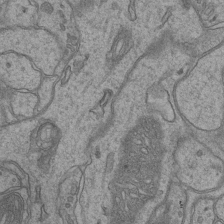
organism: Mouse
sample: CA1 Hippocampus